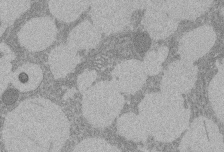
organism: Rat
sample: Salivary granule